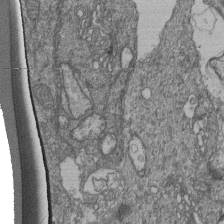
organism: Human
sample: Retinal organoid Rod and Cone cells